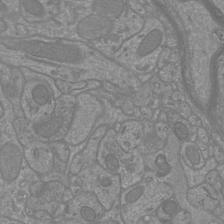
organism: Mouse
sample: Cortical neurons